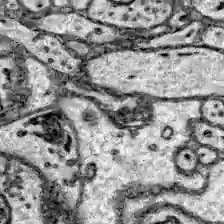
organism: Zebrafish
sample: Brain